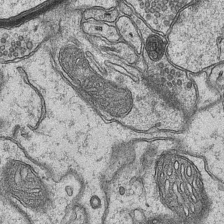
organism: Mouse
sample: CA1 Hippocampus